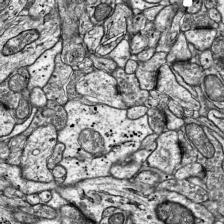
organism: Mouse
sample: Visual Cortex